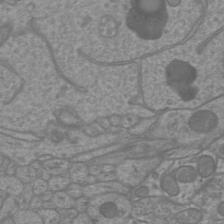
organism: Mouse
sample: Cortical neurons